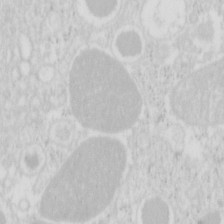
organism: Mouse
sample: Pancreas